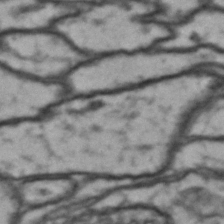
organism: Drosophila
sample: Brain